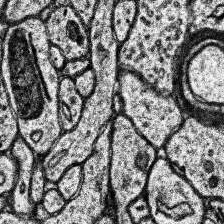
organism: Human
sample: Temporal Lobe